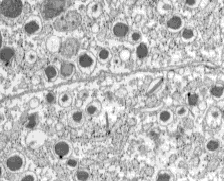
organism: C57BL Mouse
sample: Pancreatic islet